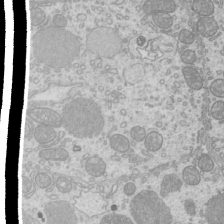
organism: Mouse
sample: Cilia; mouse epididymis